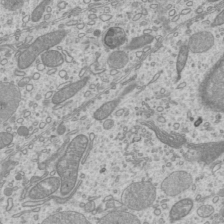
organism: Mouse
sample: Cilia; mouse epididymis